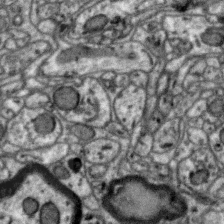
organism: Zebra finch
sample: Brain